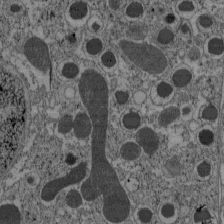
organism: C57BL Mouse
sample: Pancreatic islet